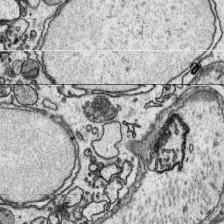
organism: Platynereis dumerilii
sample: Parapodia